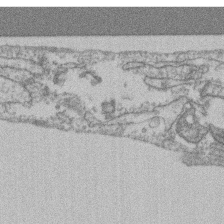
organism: Mouse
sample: T cell stromal cell synapse